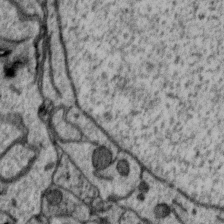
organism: Zebra finch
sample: Brain